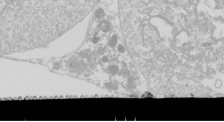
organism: Drosophila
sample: Cell division; meiosis; drosophila spermatocytes